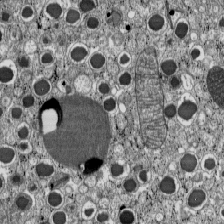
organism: C57BL Mouse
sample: Pancreatic islet